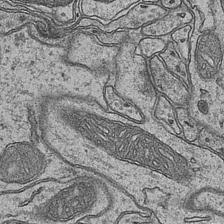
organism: Mouse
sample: CA1 Hippocampus